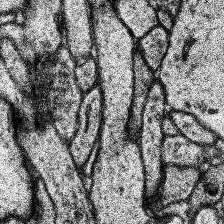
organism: Human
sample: Temporal Lobe